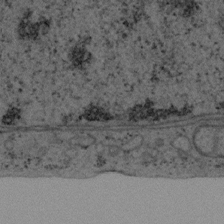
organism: Human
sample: HeLa cells